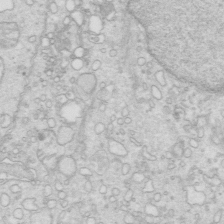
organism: Mouse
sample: Multiciliated cells